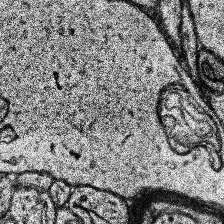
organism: Human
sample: Temporal Lobe